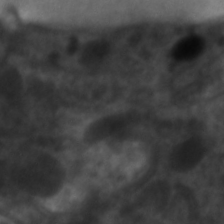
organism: C. elegans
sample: Pharynx